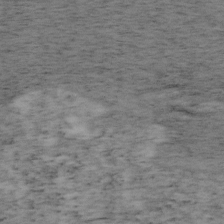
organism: Mouse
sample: OT-I killer T cells with ID8 ovarian cancer cells